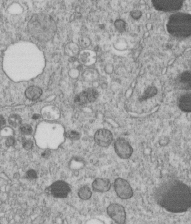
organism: C. elegans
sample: C. elegans embryo early stage